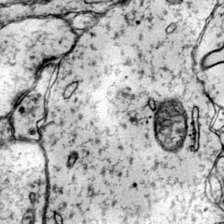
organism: Mouse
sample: Primary visual cortex